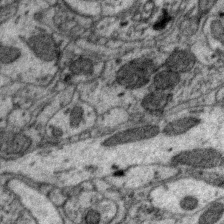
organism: Zebra finch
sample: Brain